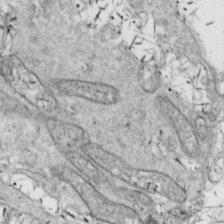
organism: Drosophila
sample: Cell division; meiosis; drosophila spermatocytes